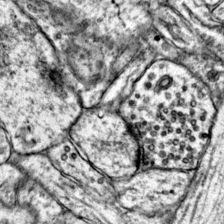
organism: Mouse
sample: Primary visual cortex